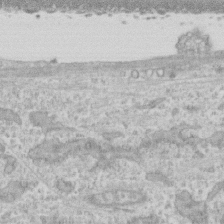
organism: Human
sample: CRL-1474